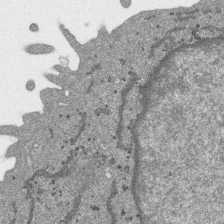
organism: Human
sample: Lung epithelial cells infected with SARS-CoV-2